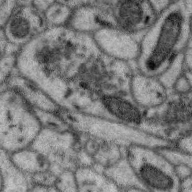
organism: Zebra finch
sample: Brain